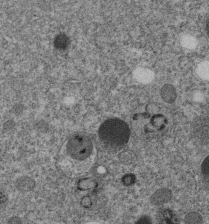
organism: C. elegans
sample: C. elegans embryo early stage